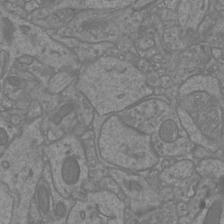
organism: Mouse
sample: Cortical neurons